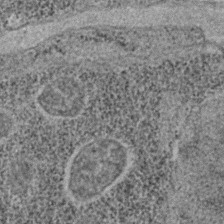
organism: C. elegans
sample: C. elegans embryo